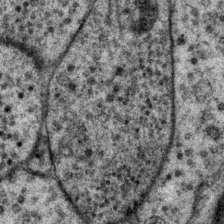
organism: P. pacificus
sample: Pharynx